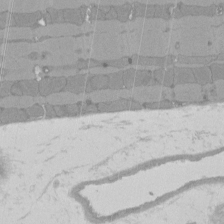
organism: Rat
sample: Left ventricle